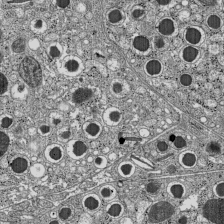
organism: C57BL Mouse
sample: Pancreatic islet